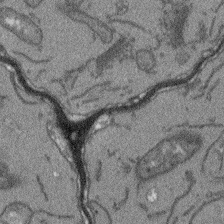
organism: Arabidopsis thaliana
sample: Root tip